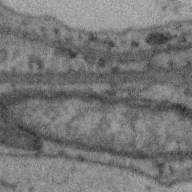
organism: Zebra finch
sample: Brain